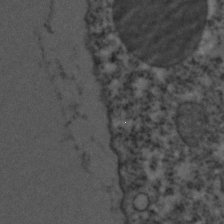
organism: C. elegans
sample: C. elegans embryo